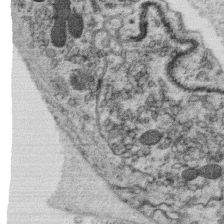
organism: C. elegans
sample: C. elegans oocyte; sperm cells